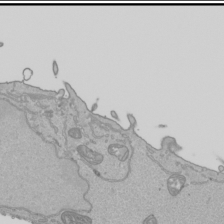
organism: Human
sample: Mitochondria in HCT116 cells